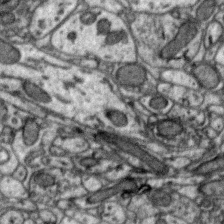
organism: Zebra finch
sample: Brain